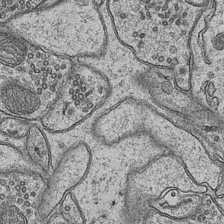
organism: Mouse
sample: CA1 Hippocampus